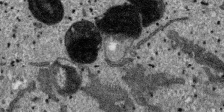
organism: Human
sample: Lung epithelial cells, uninfected (mock) control